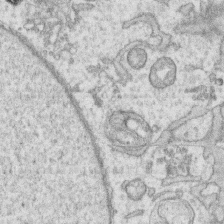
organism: Human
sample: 1205lu cells